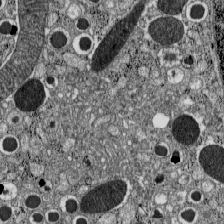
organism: C57BL Mouse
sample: Pancreatic islet